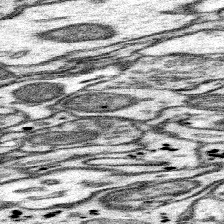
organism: Mouse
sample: Somatosensory cortex neuropil